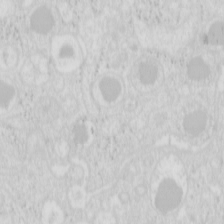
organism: Mouse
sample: Pancreas